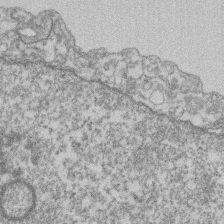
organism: Mouse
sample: T cell stromal cell synapse